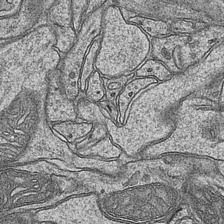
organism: Mouse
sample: CA1 Hippocampus